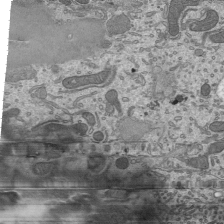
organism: Mouse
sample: Mouse epididymis efferent ductule cilia